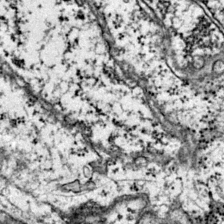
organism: Mouse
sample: Primary visual cortex